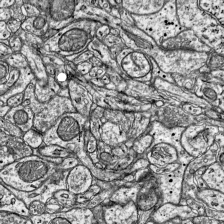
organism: Mouse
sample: Visual Cortex